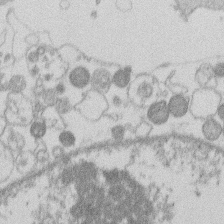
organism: Human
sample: Macrophage cells